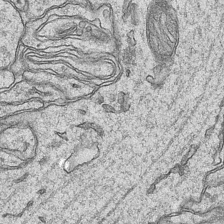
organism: Mouse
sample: CA1 Hippocampus